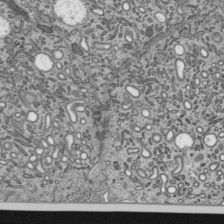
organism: Mouse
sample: Mouse epididymis efferent ductule cilia